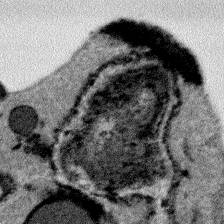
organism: Plasmodium falciparum